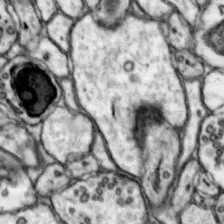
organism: Mouse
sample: Nucleus accumbens